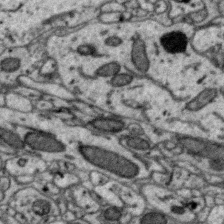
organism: Zebra finch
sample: Brain